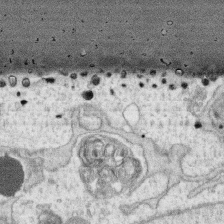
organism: Human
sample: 1205lu cells